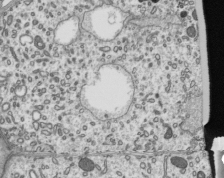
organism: Mouse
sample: Mouse epididymis efferent ductule cilia